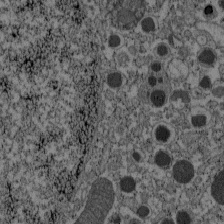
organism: C57BL Mouse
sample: Pancreatic islet